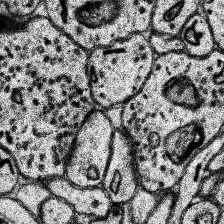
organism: Human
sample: Temporal Lobe